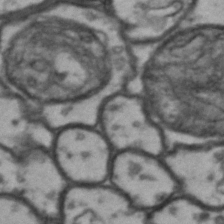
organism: Drosophila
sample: Brain